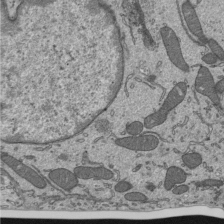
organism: Mouse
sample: Mouse epididymis efferent ductule cilia